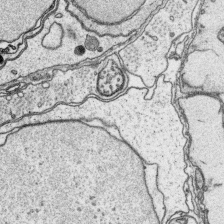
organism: Platynereis dumerilii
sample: Parapodia